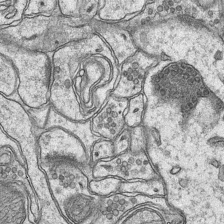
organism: Mouse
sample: CA1 Hippocampus